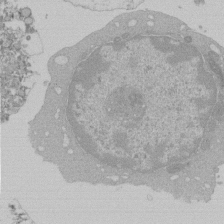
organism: Mouse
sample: Activated Pmel transgenic CD8+ T Cells